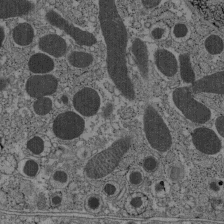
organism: C57BL Mouse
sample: Pancreatic islet